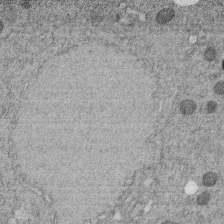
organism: C. elegans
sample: C. elegans embryo early stage